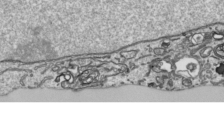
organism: Human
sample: Mitochondria in HCT116 cells